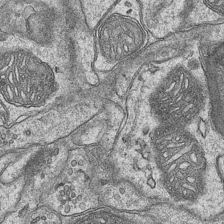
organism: Mouse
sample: CA1 Hippocampus